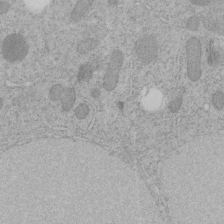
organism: C. elegans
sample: C. elegans embryo early stage